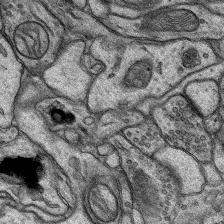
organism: Rat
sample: Hippocampus